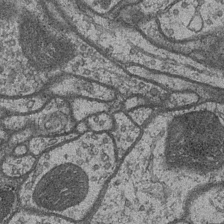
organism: Drosophila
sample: Optic medulla